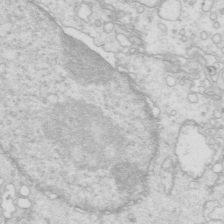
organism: Mouse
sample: Multiciliated cells